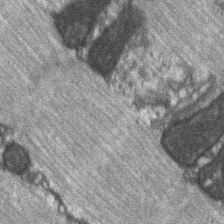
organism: C57BL Mouse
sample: Soleus